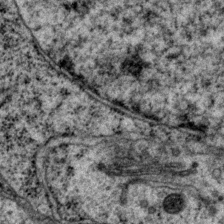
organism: P. pacificus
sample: Pharynx